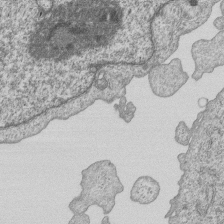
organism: Human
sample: MDA-MB-231 cells